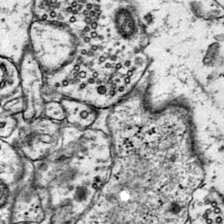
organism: Mouse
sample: Primary visual cortex